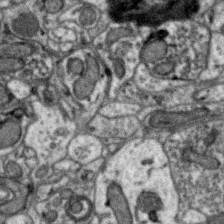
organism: Zebra finch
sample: Brain